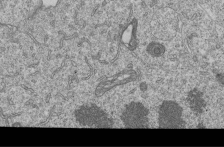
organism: Human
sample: MDA-MB-231 cells